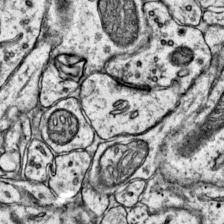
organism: Mouse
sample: Primary visual cortex